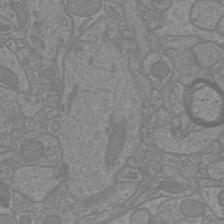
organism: Mouse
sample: Cortical neurons